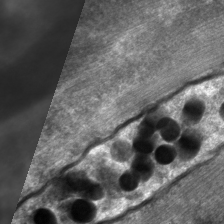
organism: C. elegans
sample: Pharynx